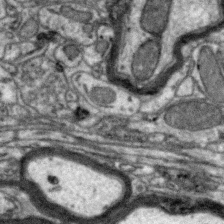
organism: Zebra finch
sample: Brain